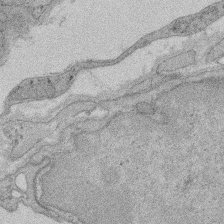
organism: Rat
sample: Salivary granule